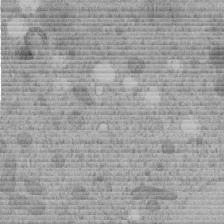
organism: C. elegans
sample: C. elegans embryo early stage